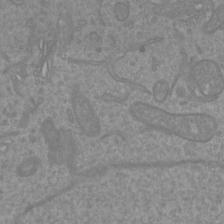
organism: Mouse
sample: Cortical neurons